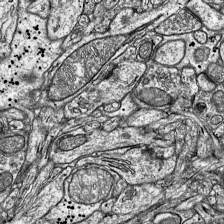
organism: Mouse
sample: Visual Cortex